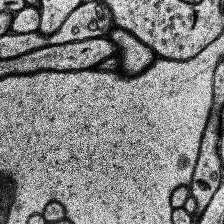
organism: Human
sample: Temporal Lobe